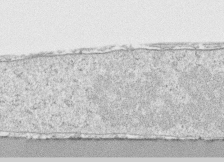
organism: Human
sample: CRL-1474